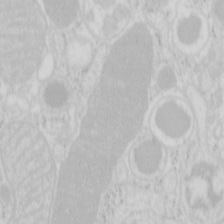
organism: Mouse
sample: Pancreas